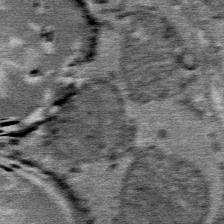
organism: Mouse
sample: Mouse Salivary gland